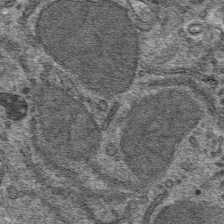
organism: Mouse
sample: Mouse hepatocytes